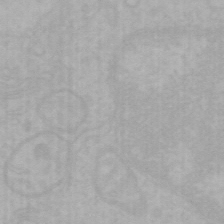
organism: Mouse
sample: Choroid plexus